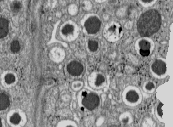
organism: C57BL Mouse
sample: Pancreatic islet